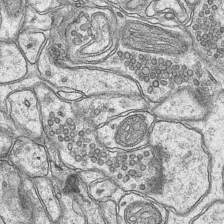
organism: Mouse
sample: CA1 Hippocampus